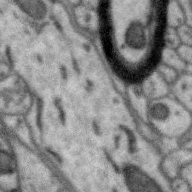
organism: Zebra finch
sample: Brain